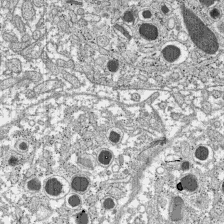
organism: C57BL Mouse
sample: Pancreatic islet